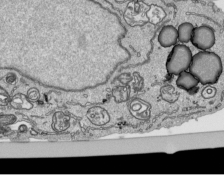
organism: Human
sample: Mitochondria in HCT116 cells